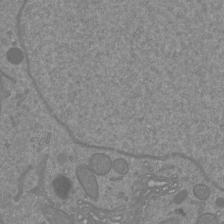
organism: Mouse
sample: Cortical neurons